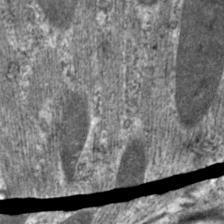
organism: C. elegans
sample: Pharynx